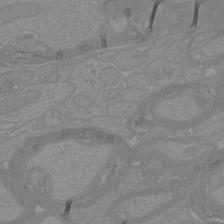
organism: Mouse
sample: Cortical neurons